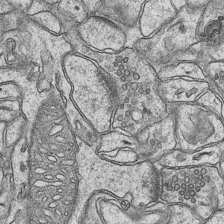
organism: Mouse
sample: CA1 Hippocampus